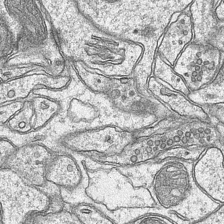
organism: Mouse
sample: CA1 Hippocampus